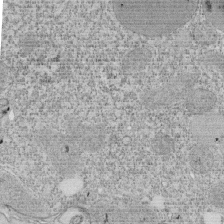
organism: Tetrahymena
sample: Cilia in tetrahymena